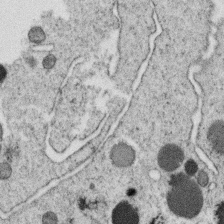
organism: C. elegans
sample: C. elegans oocyte; sperm cells